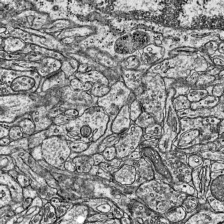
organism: Mouse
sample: Visual Cortex